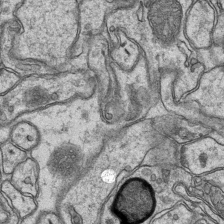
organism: Mouse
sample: CA1 Hippocampus